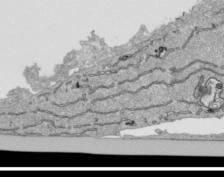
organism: Human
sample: Mitochondria in HCT116 cells